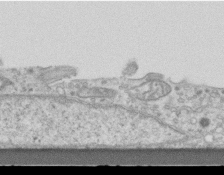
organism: Mouse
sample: Centriole in ependymal cells